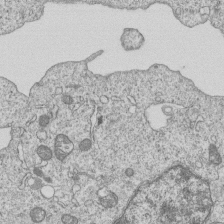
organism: Human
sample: MDA-MB-231 cells